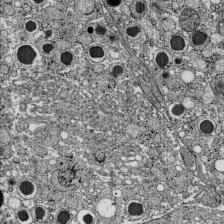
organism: C57BL Mouse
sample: Pancreatic islet